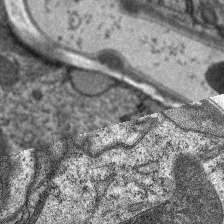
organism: C. elegans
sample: Pharynx